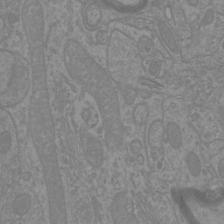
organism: Mouse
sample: Cortical neurons